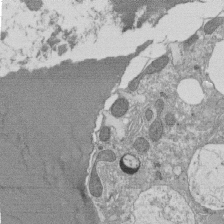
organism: Tetrahymena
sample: Cilia in tetrahymena